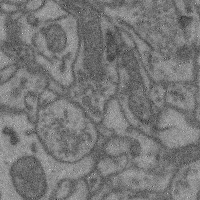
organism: Mouse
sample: Cerebral cortex